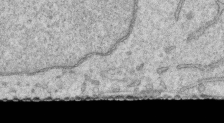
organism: Human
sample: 1205lu cells